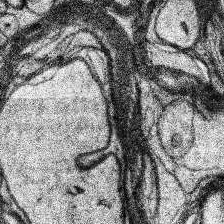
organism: Human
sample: Temporal Lobe